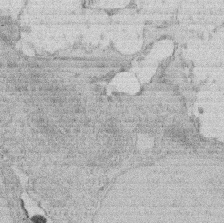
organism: Rat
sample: Salivary granule